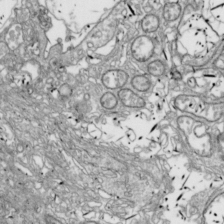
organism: Drosophila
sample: Cell division; meiosis; drosophila spermatocytes